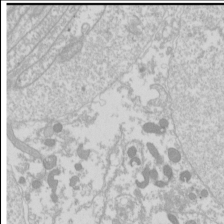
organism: Drosophila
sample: Cell division; meiosis; drosophila spermatocytes